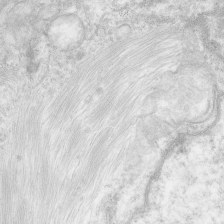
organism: Human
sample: Neocortex